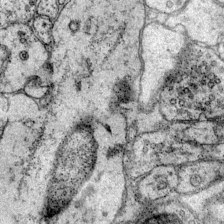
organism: Mouse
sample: Primary visual cortex